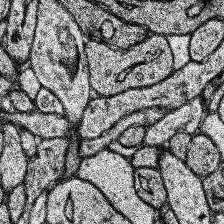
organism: Human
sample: Temporal Lobe